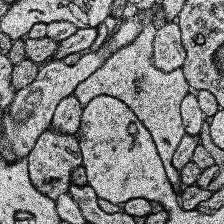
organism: Human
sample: Temporal Lobe